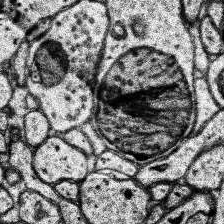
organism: Human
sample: Temporal Lobe